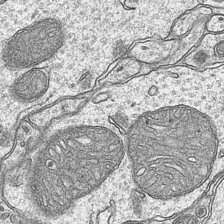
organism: Mouse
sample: CA1 Hippocampus